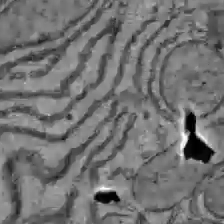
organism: C57BL Mouse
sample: Liver